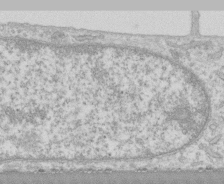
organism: Human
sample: CRL-1474